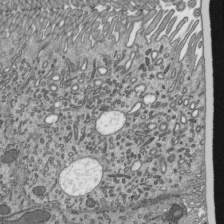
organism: Mouse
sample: Mouse epididymis efferent ductule cilia